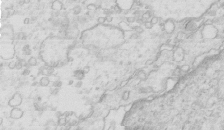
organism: Mouse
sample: Multiciliated cells